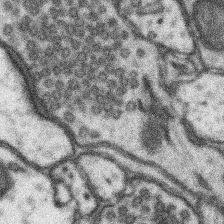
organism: Mouse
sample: Somatosensory cortex neuropil